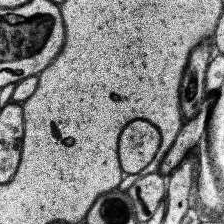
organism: Human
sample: Temporal Lobe